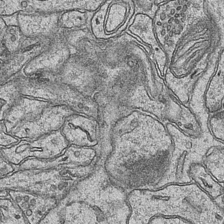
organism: Mouse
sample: CA1 Hippocampus